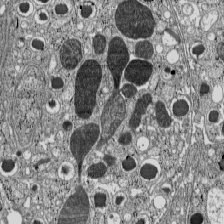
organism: C57BL Mouse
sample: Pancreatic islet